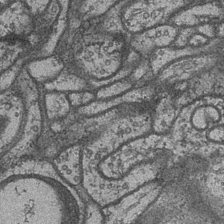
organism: Drosophila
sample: Optic medulla